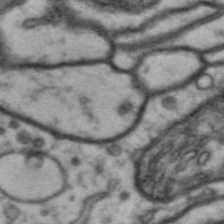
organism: Drosophila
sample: Brain